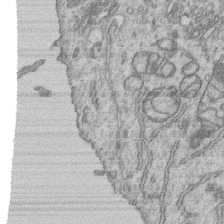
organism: Human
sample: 1205lu cells